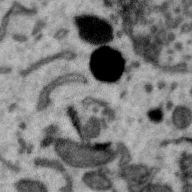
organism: Zebra finch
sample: Brain